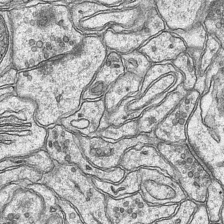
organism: Mouse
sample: CA1 Hippocampus